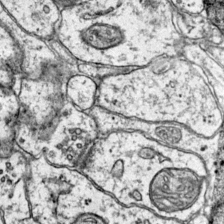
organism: Mouse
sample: Primary visual cortex